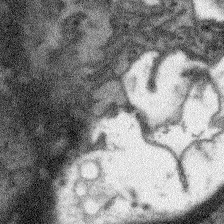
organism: Arabidopsis thaliana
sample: Root tip